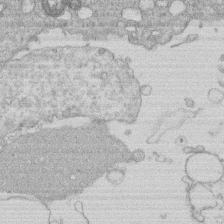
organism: Human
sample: Macrophage cells